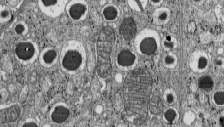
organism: C57BL Mouse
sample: Pancreatic islet